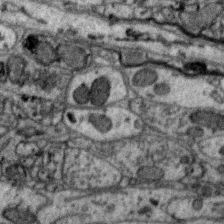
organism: Zebra finch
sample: Brain